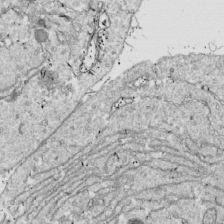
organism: Drosophila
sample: Cell division; meiosis; drosophila spermatocytes